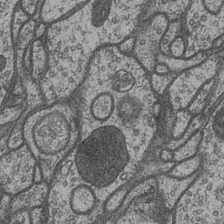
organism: Drosophila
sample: Optic medulla